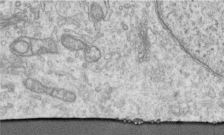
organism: Human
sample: Centriole in RPE cells